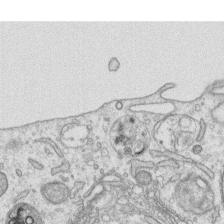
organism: Human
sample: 1205lu cells